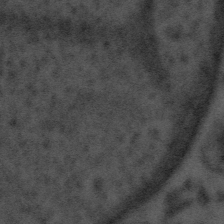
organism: Tuwongella immobilis